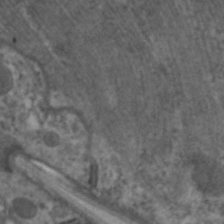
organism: C. elegans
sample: Pharynx